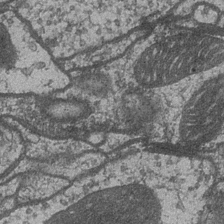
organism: Drosophila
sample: Optic medulla